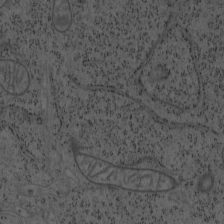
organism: Mouse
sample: OT-I killer T cells with ID8 ovarian cancer cells